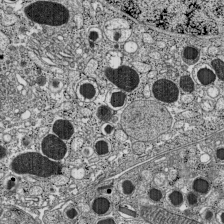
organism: C57BL Mouse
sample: Pancreatic islet